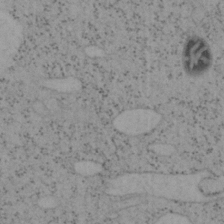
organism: Mouse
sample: OT-I killer T cells with ID8 ovarian cancer cells